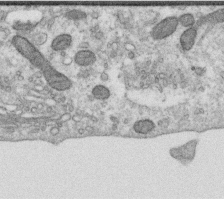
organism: Human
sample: Centriole in RPE cells